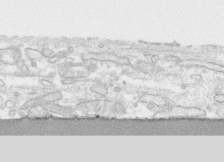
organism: Human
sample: CRL-1474